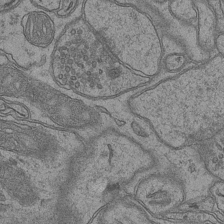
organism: Mouse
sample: CA1 Hippocampus